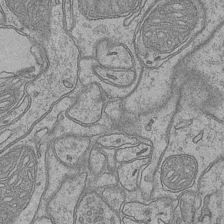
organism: Mouse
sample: CA1 Hippocampus